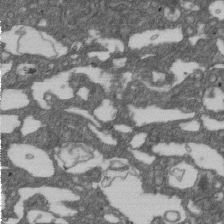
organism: Drosophila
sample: Nephrocyte